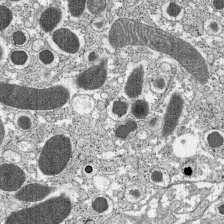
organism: C57BL Mouse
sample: Pancreatic islet